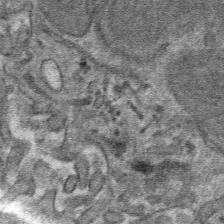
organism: Mouse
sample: Mouse hepatocytes